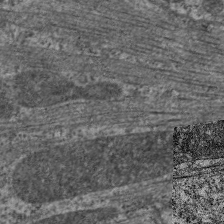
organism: C. elegans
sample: Pharynx